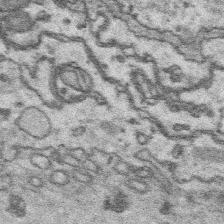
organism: Platynereis dumerilii